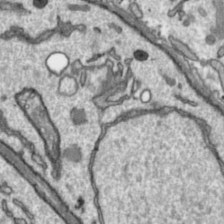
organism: Toxoplasma gondii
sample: Parasites in a vacuole inside a host cell